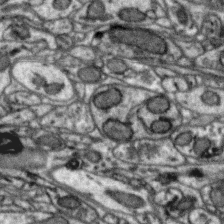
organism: Zebra finch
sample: Brain